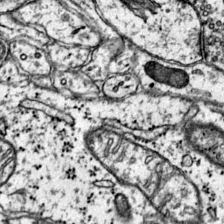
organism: Mouse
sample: Primary visual cortex